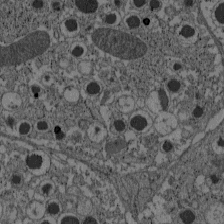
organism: C57BL Mouse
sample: Pancreatic islet